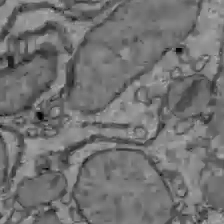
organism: C57BL Mouse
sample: Liver